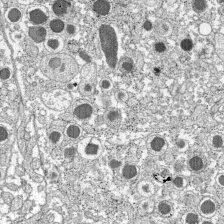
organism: C57BL Mouse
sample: Pancreatic islet